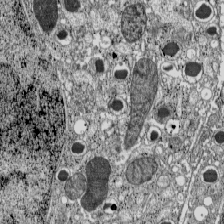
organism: C57BL Mouse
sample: Pancreatic islet